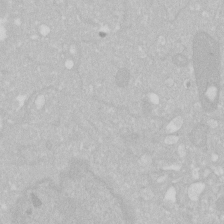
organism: Human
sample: HIV infected U937 cells